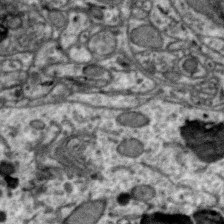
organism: Zebra finch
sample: Brain